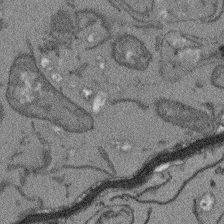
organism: Arabidopsis thaliana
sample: Root tip